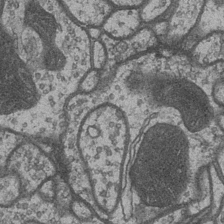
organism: Drosophila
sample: Optic medulla